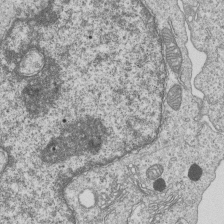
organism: Human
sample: MDA-MB-231 cells